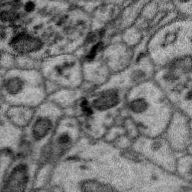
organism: Zebra finch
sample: Brain